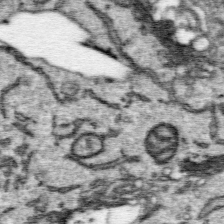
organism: Human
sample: HeLa cells